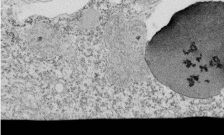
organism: Tetrahymena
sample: Cilia in tetrahymena